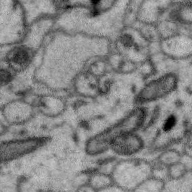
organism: Zebra finch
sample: Brain